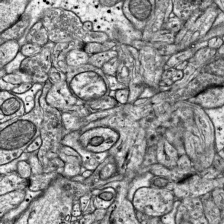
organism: Mouse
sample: Visual Cortex